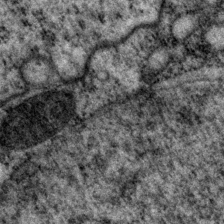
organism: P. pacificus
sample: Pharynx